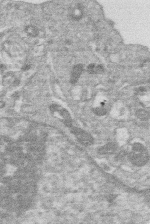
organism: Human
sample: Macrophage cells